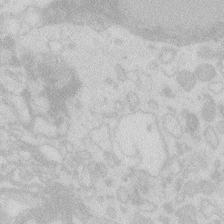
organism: Zebrafish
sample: Macrophage